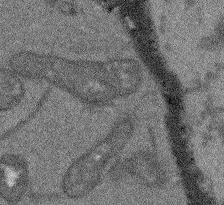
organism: Arabidopsis thaliana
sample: Root tip